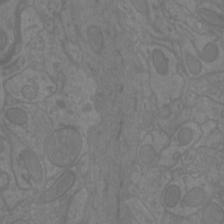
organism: Mouse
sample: Cortical neurons